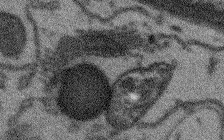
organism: Arabidopsis thaliana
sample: Root tip